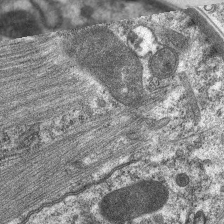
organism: C. elegans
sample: Pharynx